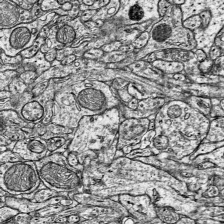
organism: Mouse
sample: Visual Cortex